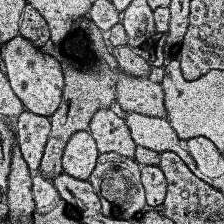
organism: Human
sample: Temporal Lobe